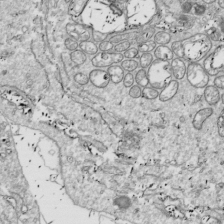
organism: Drosophila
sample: Cell division; meiosis; drosophila spermatocytes